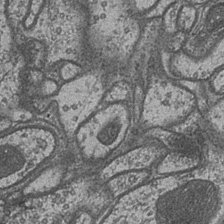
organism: Drosophila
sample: Optic medulla